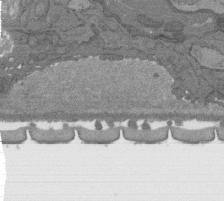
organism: C. elegans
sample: AFD neurons C. elegans